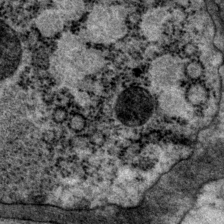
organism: P. pacificus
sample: Pharynx